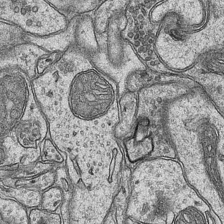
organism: Mouse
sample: CA1 Hippocampus